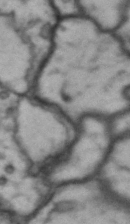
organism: Drosophila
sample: Brain